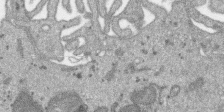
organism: Human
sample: Lung epithelial cells infected with SARS-CoV-2